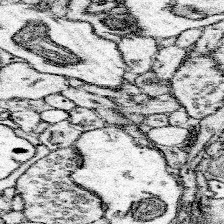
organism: Mouse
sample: Somatosensory cortex neuropil